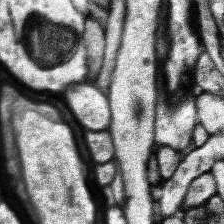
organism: Human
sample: Temporal Lobe